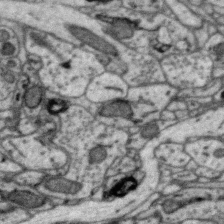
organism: Zebra finch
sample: Brain